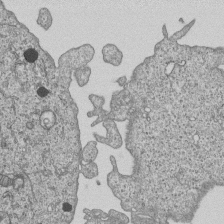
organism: Human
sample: MDA-MB-231 cells